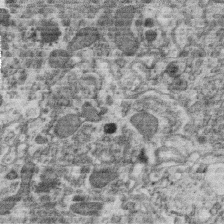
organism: C. elegans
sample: C. elegans oocyte; sperm cells